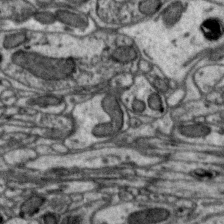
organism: Zebra finch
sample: Brain